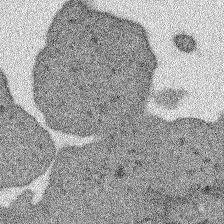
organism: Human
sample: HeLa cells